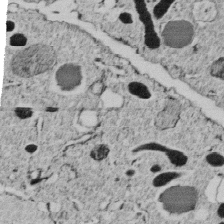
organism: C. elegans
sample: C. elegans embryo early stage